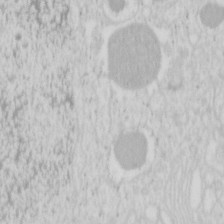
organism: Mouse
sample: Pancreas